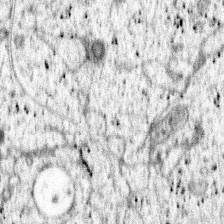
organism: Human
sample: HeLa cells